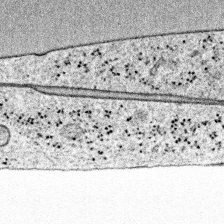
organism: Human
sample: HeLa cells